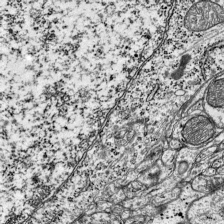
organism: Mouse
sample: Visual Cortex